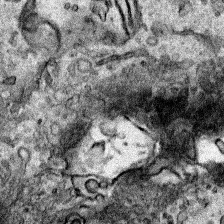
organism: Human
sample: Mitochondria in HCT116 cells